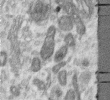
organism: Human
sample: Centriole in RPE cells